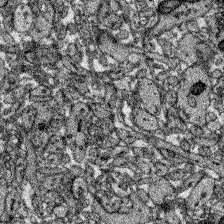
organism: Zebrafish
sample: Larval olfactory bulb